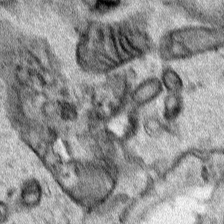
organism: Human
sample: Mitochondria in HCT116 cells